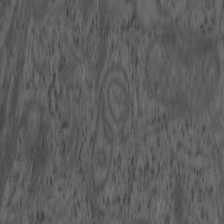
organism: Human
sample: HeLa cells